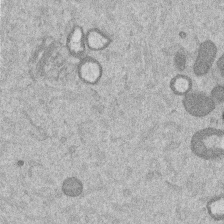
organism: Mouse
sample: Dividing mouse embryo 1 cell stage